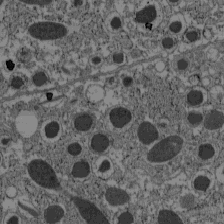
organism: C57BL Mouse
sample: Pancreatic islet